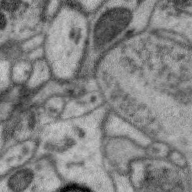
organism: Zebra finch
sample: Brain